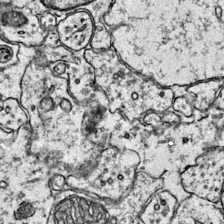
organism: Mouse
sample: Primary visual cortex